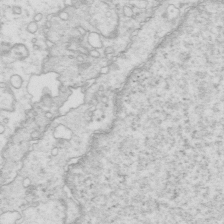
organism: Mouse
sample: Multiciliated cells